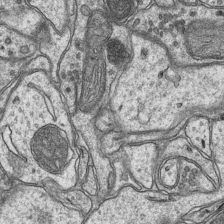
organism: Mouse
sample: CA1 Hippocampus